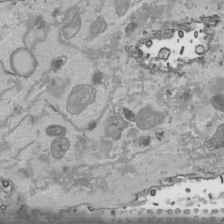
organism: Human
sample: Mitochondria in HCT116 cells